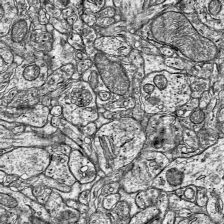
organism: Mouse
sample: Visual Cortex